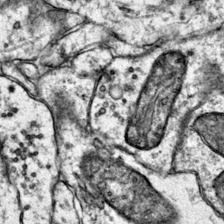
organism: Mouse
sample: Primary visual cortex